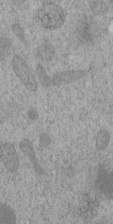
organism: C. elegans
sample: C. elegans embryo early stage